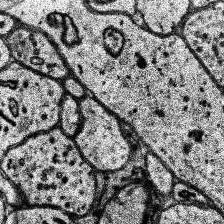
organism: Human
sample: Temporal Lobe